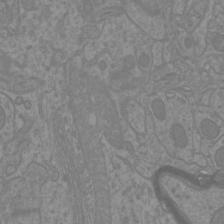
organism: Mouse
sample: Cortical neurons